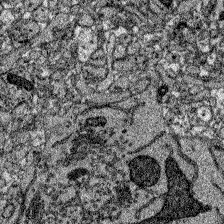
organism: Zebrafish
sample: Larval olfactory bulb